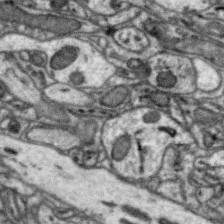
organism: Zebra finch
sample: Brain